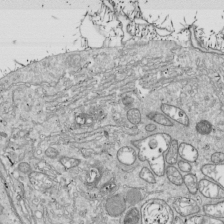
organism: Drosophila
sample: Cell division; meiosis; drosophila spermatocytes